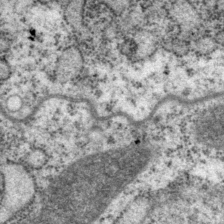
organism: P. pacificus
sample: Pharynx